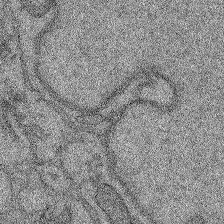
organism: Human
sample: HeLa cells